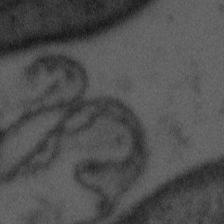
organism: Tuwongella immobilis